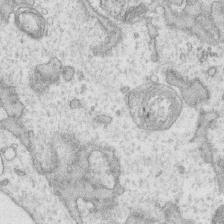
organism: Human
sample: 1205lu cells